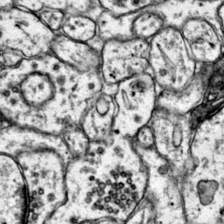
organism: Mouse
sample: Primary visual cortex